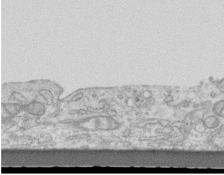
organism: Mouse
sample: Centriole in ependymal cells